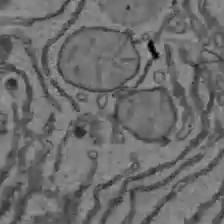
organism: C57BL Mouse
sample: Liver